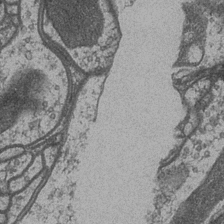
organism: Drosophila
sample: Optic medulla